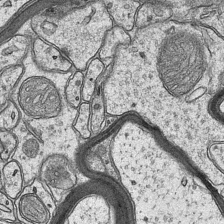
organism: Mouse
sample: CA1 Hippocampus